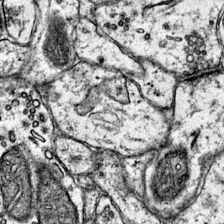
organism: Mouse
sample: Primary visual cortex